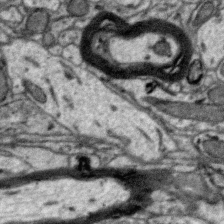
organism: Zebra finch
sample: Brain